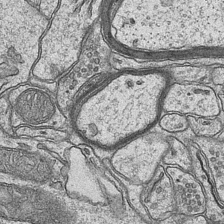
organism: Mouse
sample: CA1 Hippocampus